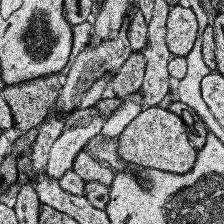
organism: Human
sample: Temporal Lobe